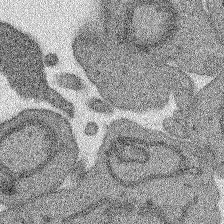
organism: Human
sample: HeLa cells